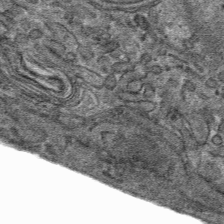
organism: Mouse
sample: Mouse hepatocytes